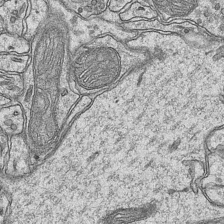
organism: Mouse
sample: CA1 Hippocampus